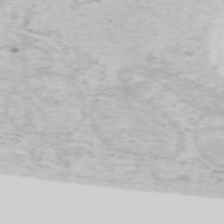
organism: Mouse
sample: OT-I killer T cells with ID8 ovarian cancer cells